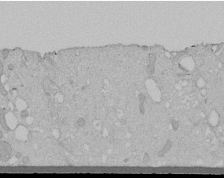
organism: Human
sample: Melanocyte Keratinocyte synapse skin construct